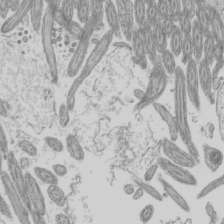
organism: Mouse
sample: Cilia; mouse epididymis